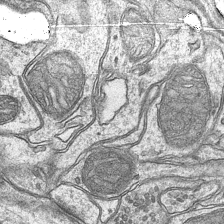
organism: Mouse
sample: CA1 Hippocampus